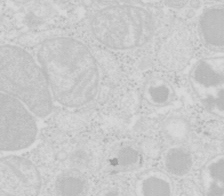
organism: Mouse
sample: Pancreas